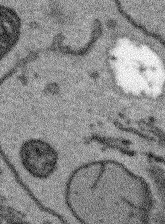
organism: Arabidopsis thaliana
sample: Root tip